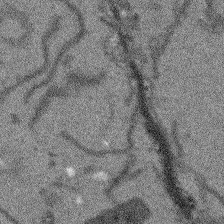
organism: Arabidopsis thaliana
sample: Root tip